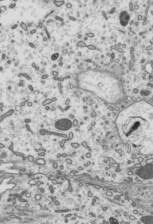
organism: Mouse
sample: Mouse epididymis efferent ductule cilia